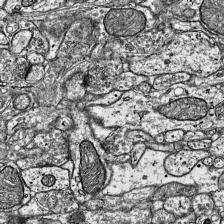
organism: Mouse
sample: Visual Cortex